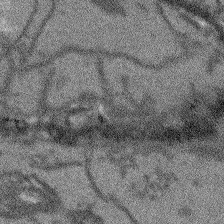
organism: Arabidopsis thaliana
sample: Root tip